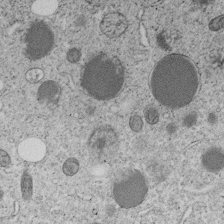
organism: C. elegans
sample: C. elegans embryo early stage